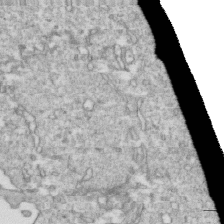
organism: Mouse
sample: Activated OT-1 CD8+ T cells